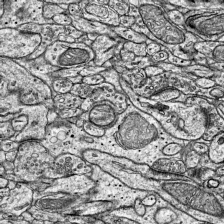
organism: Mouse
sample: Visual Cortex